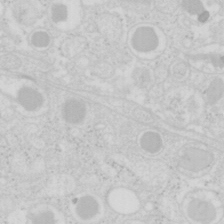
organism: Mouse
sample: Pancreas